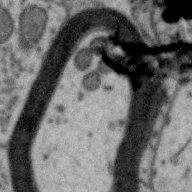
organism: Zebra finch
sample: Brain